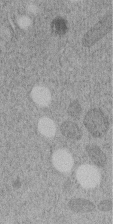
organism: C. elegans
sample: C. elegans embryo early stage